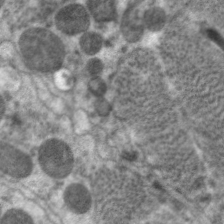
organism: C. elegans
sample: Pharynx